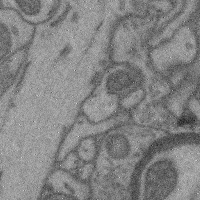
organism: Mouse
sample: Cerebral cortex